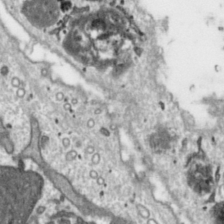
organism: Toxoplasma gondii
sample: Parasites in a vacuole inside a host cell